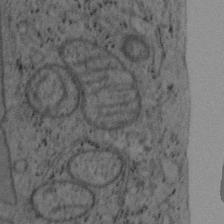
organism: Human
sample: HeLa cells